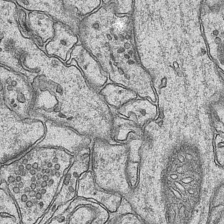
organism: Mouse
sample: CA1 Hippocampus